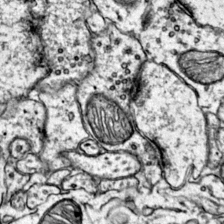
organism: Mouse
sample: Primary visual cortex